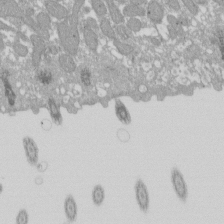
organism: Xenopus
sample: Cilia; centrioles in frog embryo cells